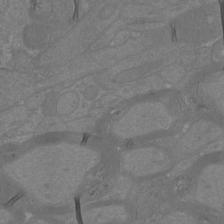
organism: Mouse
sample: Cortical neurons